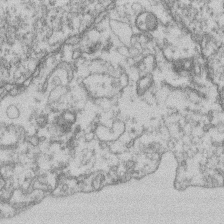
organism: Mouse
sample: T cell stromal cell synapse